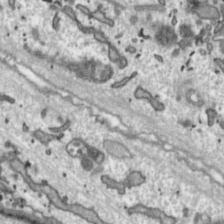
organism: Toxoplasma gondii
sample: Parasites in a vacuole inside a host cell